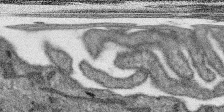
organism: Human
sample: Lung epithelial cells infected with SARS-CoV-2